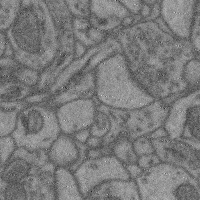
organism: Mouse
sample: Cerebral cortex